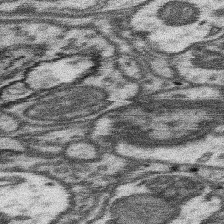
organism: Mouse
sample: Somatosensory cortex neuropil